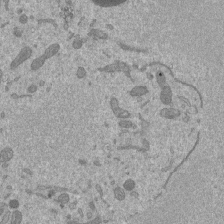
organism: Mouse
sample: ED-1 cell nuclei; centrioles